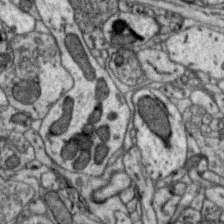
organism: Zebra finch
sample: Brain